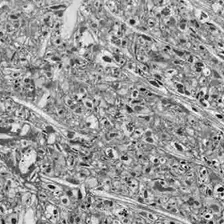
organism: Drosophila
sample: Optic lobe